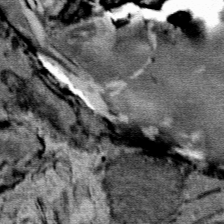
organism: Mouse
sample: Mouse Salivary gland